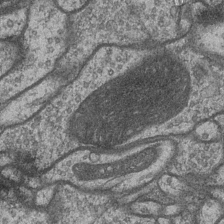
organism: Drosophila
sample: Optic medulla